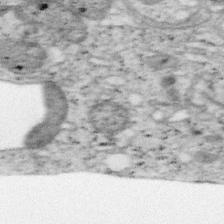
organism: Mouse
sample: OT-I killer T cells with ID8 ovarian cancer cells